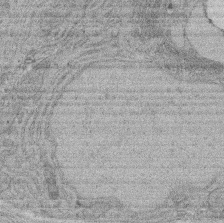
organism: Rat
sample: Salivary granule